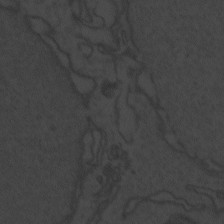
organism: Zebrafish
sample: Macrophage infected with Toxoplasma gondii